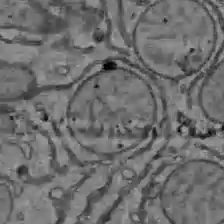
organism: C57BL Mouse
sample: Liver